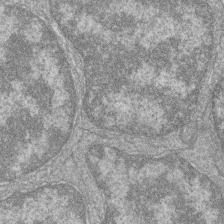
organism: Zebrafish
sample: Cilia; retinal pigment epithelium